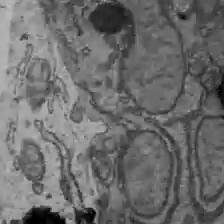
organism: C57BL Mouse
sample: Liver